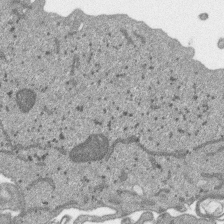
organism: Human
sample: Lung epithelial cells infected with SARS-CoV-2